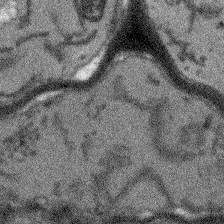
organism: Arabidopsis thaliana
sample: Root tip